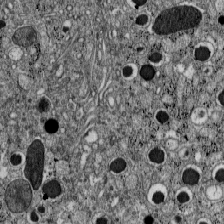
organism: C57BL Mouse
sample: Pancreatic islet